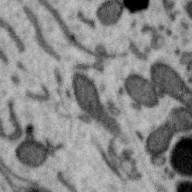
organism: Zebra finch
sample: Brain